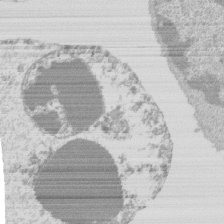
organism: Mouse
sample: Activated Pmel transgenic CD8+ T Cells